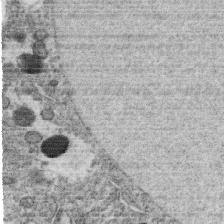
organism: C. elegans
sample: C. elegans oocyte; sperm cells